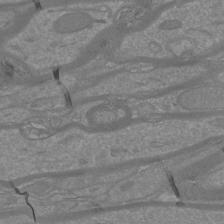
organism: Mouse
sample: Cortical neurons